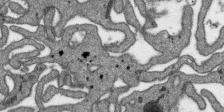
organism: Human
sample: Lung epithelial cells, uninfected (mock) control